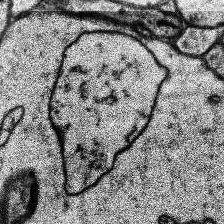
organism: Human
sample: Temporal Lobe